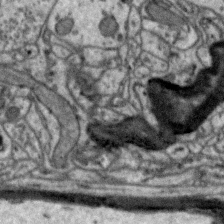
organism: Zebra finch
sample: Brain